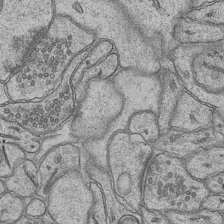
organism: Mouse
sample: CA1 Hippocampus